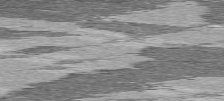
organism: C57BL Mouse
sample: Heart